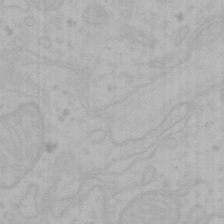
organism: Mouse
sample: Choroid plexus